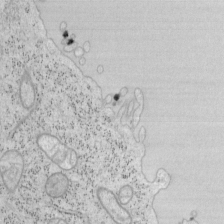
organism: Mouse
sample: OT-I killer T cells with ID8 ovarian cancer cells